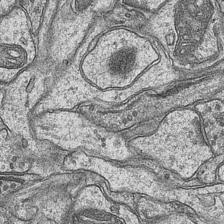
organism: Mouse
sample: CA1 Hippocampus